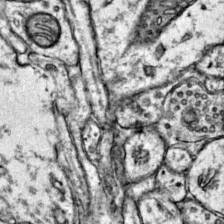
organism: Mouse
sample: Primary visual cortex